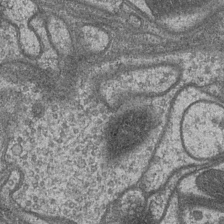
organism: Drosophila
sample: Optic medulla